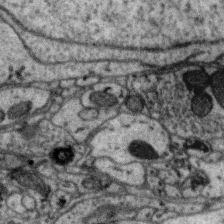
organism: Zebra finch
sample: Brain